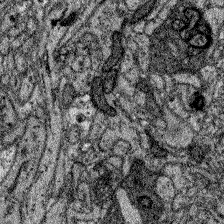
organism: Zebrafish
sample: Larval olfactory bulb